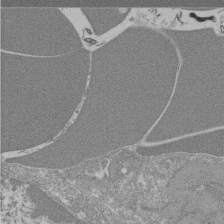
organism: Mouse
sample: Glomerulus